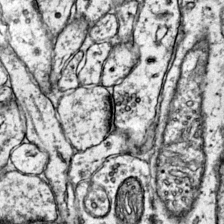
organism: Mouse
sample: Primary visual cortex